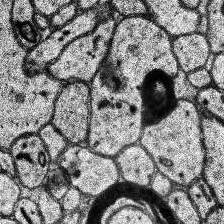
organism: Human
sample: Temporal Lobe